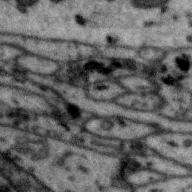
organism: Zebra finch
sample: Brain